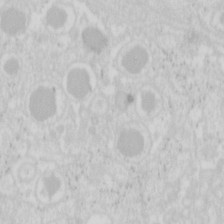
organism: Mouse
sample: Pancreas